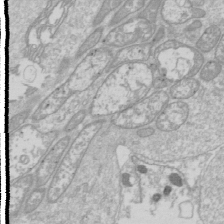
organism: Drosophila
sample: Cell division; meiosis; drosophila spermatocytes